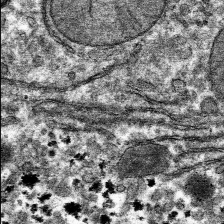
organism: Mouse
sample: Mouse hepatocytes